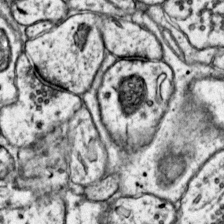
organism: Mouse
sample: Primary visual cortex